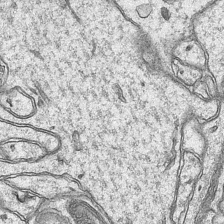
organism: Mouse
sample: CA1 Hippocampus